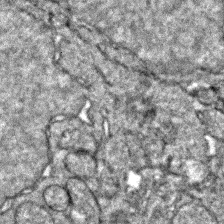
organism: Zebrafish